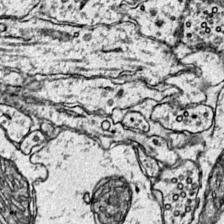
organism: Mouse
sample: Primary visual cortex